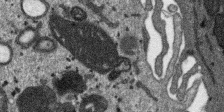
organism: Human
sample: Lung epithelial cells infected with SARS-CoV-2